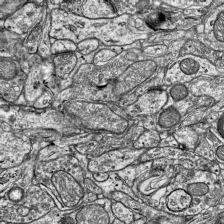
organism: Mouse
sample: Visual Cortex